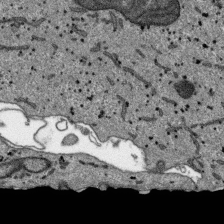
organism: Human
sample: Lung epithelial cells, uninfected (mock) control